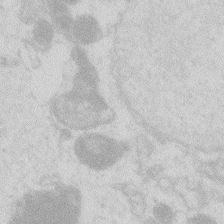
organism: Zebrafish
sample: Macrophage